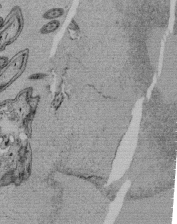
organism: Tetrahymena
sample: Cilia in tetrahymena